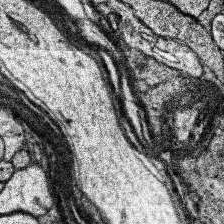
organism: Human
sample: Temporal Lobe